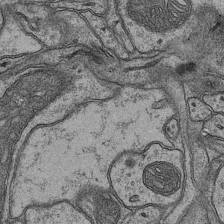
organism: Mouse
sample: CA1 Hippocampus